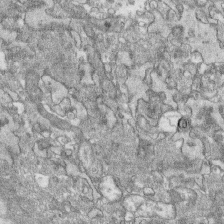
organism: Human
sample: CRL-1474